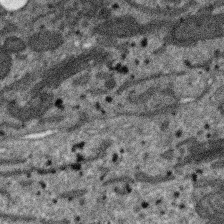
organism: Human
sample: Lung epithelial cells infected with SARS-CoV-2